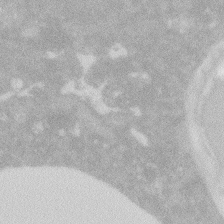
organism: Zebrafish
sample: Macrophage